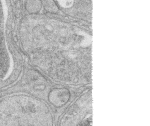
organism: Zebrafish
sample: synaptic ribbons in rod cells and cone cells